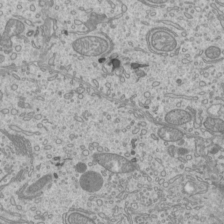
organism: Mouse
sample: Cilia; mouse epididymis